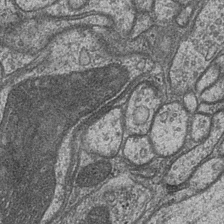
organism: Drosophila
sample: Optic medulla